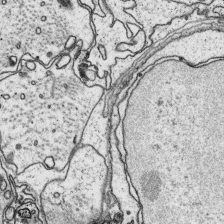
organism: Platynereis dumerilii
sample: Parapodia